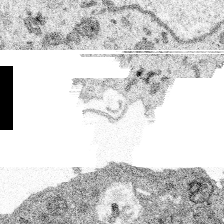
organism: Spongilla lacustris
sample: Multiple